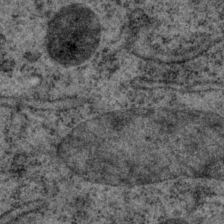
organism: P. pacificus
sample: Pharynx